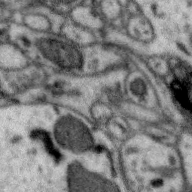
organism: Zebra finch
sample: Brain